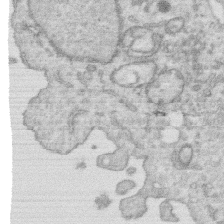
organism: Human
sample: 1205lu cells